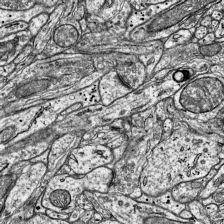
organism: Mouse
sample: Visual Cortex